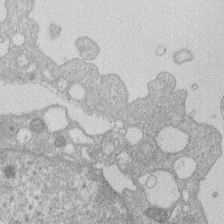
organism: Human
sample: Macrophage cells